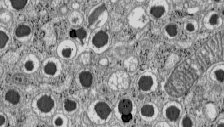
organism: C57BL Mouse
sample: Pancreatic islet